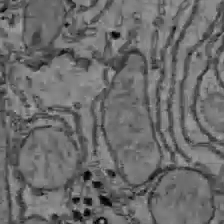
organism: C57BL Mouse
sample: Liver